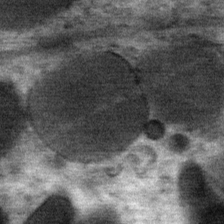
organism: Mouse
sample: Mouse Salivary gland